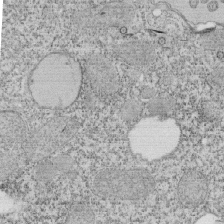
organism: Tetrahymena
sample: Cilia in tetrahymena